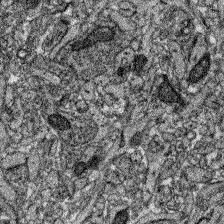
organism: Zebrafish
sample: Larval olfactory bulb